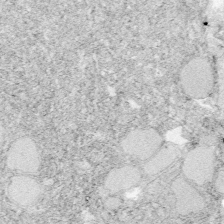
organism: Zebrafish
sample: Whole-Brain